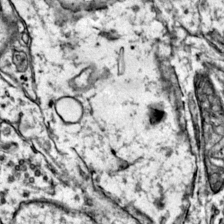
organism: Mouse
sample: Primary visual cortex